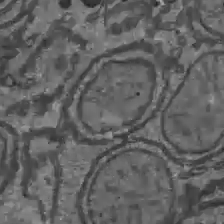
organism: C57BL Mouse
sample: Liver